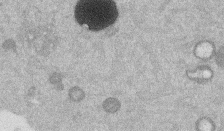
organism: Mouse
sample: Dividing mouse embryo 1 cell stage